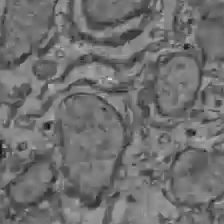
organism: C57BL Mouse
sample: Liver